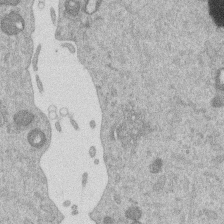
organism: Mouse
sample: Dividing mouse embryo 1 cell stage